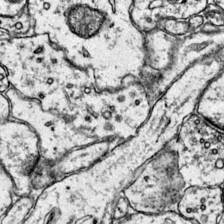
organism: Mouse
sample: Primary visual cortex